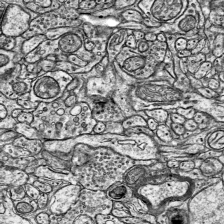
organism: Mouse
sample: Visual Cortex